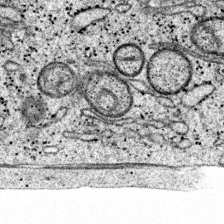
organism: Human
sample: HeLa cells